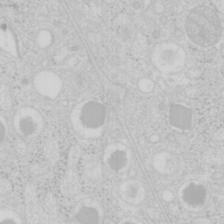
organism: Mouse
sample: Pancreas